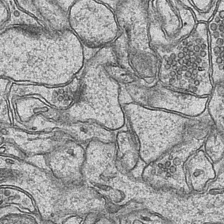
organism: Mouse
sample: CA1 Hippocampus